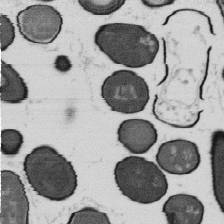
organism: B. subtilis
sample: Bacterial spore